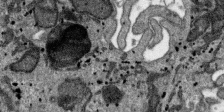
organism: Human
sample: Lung epithelial cells, uninfected (mock) control